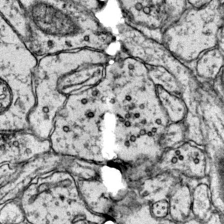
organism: Mouse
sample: Primary visual cortex